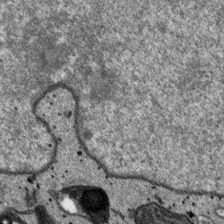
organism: Human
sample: Lung epithelial cells, uninfected (mock) control